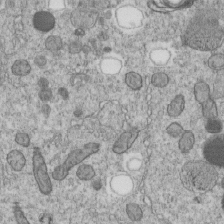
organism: C. elegans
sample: C. elegans embryo early stage